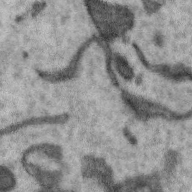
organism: Zebra finch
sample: Brain